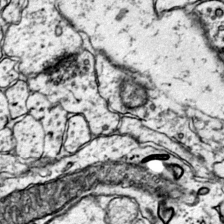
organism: Mouse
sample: Primary visual cortex